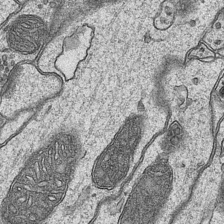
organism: Mouse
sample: CA1 Hippocampus